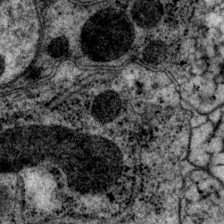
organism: P. pacificus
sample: Pharynx